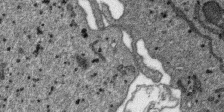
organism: Human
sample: Lung epithelial cells infected with SARS-CoV-2